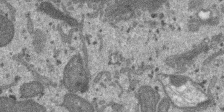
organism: Human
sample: Lung epithelial cells infected with SARS-CoV-2